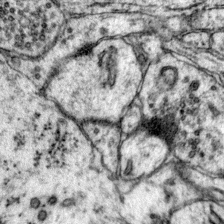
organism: Mouse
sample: Primary visual cortex